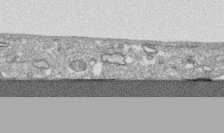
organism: Human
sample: CRL-1474